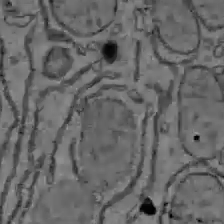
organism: C57BL Mouse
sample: Liver